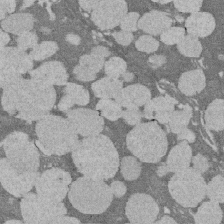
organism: Rat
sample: Salivary granule